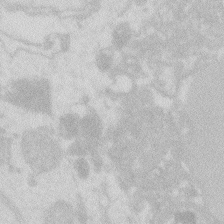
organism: Zebrafish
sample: Macrophage